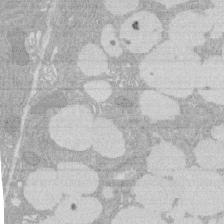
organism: Rat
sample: Salivary granule